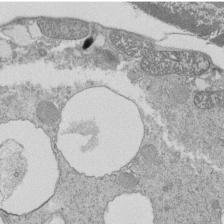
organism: Tetrahymena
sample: Cilia in tetrahymena